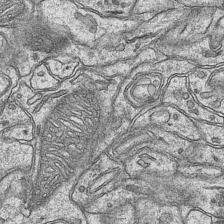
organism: Mouse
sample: CA1 Hippocampus